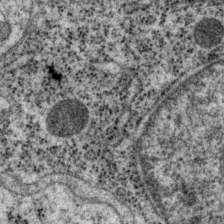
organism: P. pacificus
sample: Pharynx